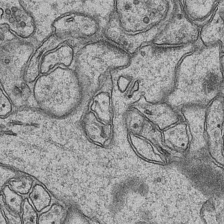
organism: Mouse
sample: CA1 Hippocampus